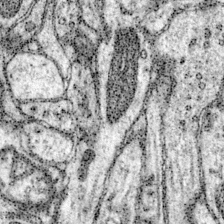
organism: Mouse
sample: Primary visual cortex